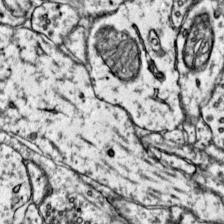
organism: Mouse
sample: Primary visual cortex